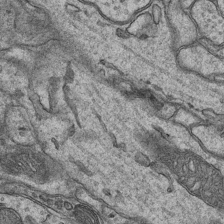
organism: Mouse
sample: CA1 Hippocampus